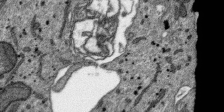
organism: Human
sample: Lung epithelial cells, uninfected (mock) control